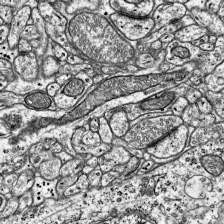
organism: Mouse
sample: Visual Cortex